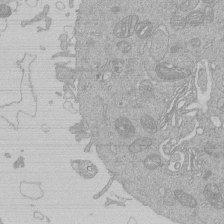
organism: Human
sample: Macrophage cells